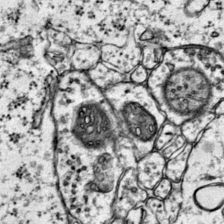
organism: Mouse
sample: Primary visual cortex